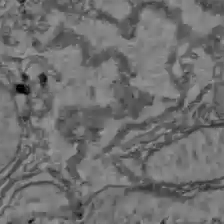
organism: C57BL Mouse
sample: Liver